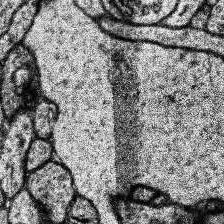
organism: Human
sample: Temporal Lobe